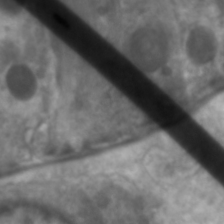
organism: C. elegans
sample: Pharynx